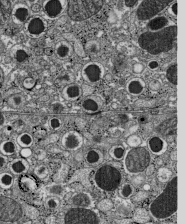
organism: C57BL Mouse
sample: Pancreatic islet